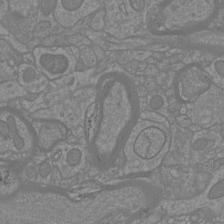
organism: Mouse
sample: Cortical neurons